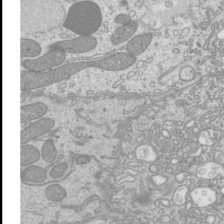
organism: Mouse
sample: Cilia; mouse epididymis